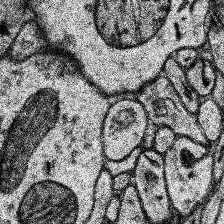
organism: Human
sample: Temporal Lobe